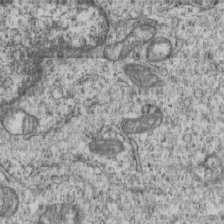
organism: Human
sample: MDA-MB-231 cells